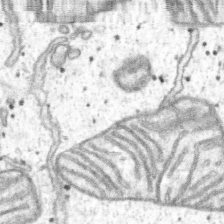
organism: Human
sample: HeLa cells